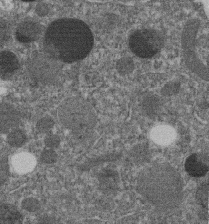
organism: C. elegans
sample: C. elegans embryo early stage